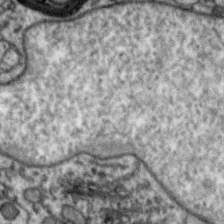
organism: Zebra finch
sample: Brain